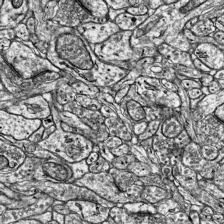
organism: Mouse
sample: Visual Cortex